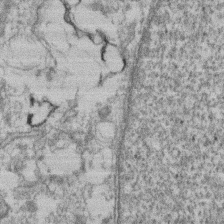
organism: Mouse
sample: T cell stromal cell synapse